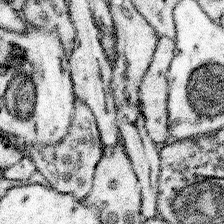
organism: Mouse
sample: Somatosensory cortex neuropil